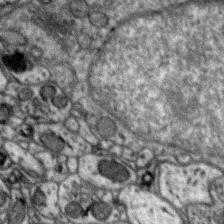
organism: Zebra finch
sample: Brain